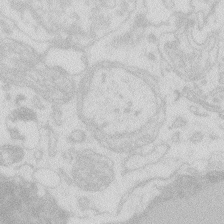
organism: Zebrafish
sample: Macrophage